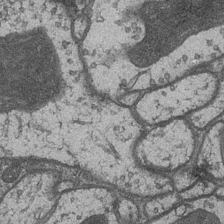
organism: Drosophila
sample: Optic medulla